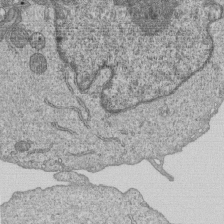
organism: Human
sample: MDA-MB-231 cells